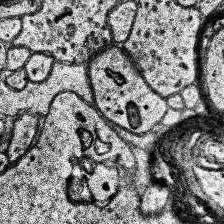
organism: Human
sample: Temporal Lobe